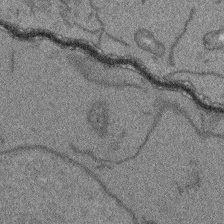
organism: Arabidopsis thaliana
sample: Root tip